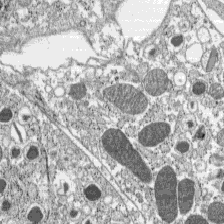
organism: C57BL Mouse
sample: Pancreatic islet